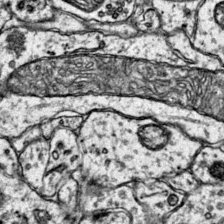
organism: Mouse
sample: Primary visual cortex